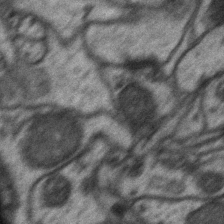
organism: Mouse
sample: CA1 Hippocampus